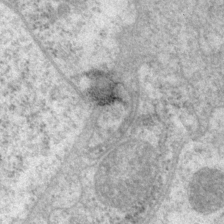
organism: P. pacificus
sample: Pharynx